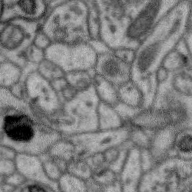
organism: Zebra finch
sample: Brain